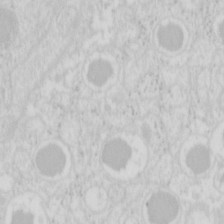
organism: Mouse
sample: Pancreas